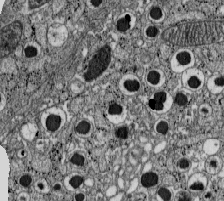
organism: C57BL Mouse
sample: Pancreatic islet